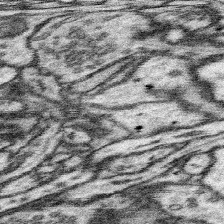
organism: Mouse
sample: Somatosensory cortex neuropil